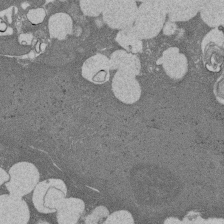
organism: Rat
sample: Salivary granule